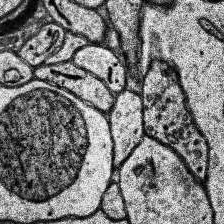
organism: Human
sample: Temporal Lobe